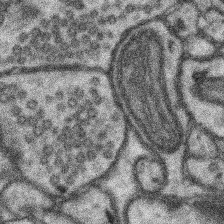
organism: Mouse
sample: Somatosensory cortex neuropil